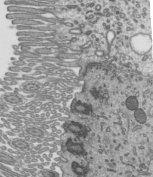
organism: Mouse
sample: Mouse epididymis efferent ductule cilia